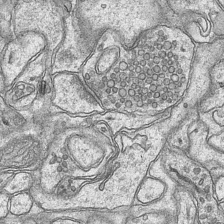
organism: Mouse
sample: CA1 Hippocampus